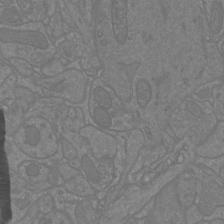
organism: Mouse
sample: Cortical neurons